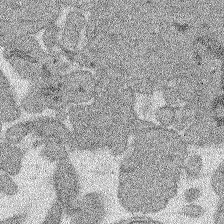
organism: Human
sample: HeLa cells